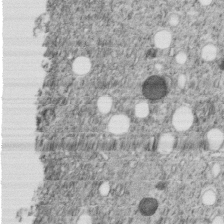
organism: C. elegans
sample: C. elegans embryo early stage